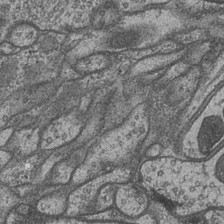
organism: Drosophila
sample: Optic medulla